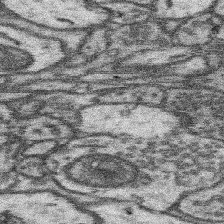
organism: Mouse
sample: Somatosensory cortex neuropil